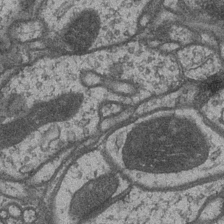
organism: Drosophila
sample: Optic medulla